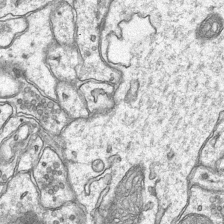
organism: Mouse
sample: CA1 Hippocampus